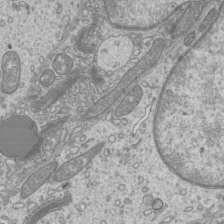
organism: Mouse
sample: Cilia; mouse epididymis